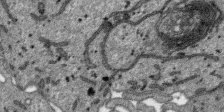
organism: Human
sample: Lung epithelial cells, uninfected (mock) control